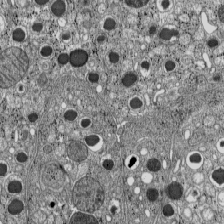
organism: C57BL Mouse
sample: Pancreatic islet